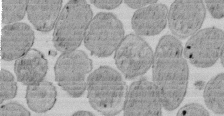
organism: E. coli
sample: Bacterial nucleoid